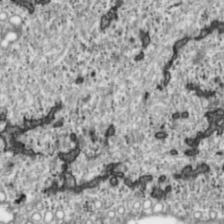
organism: Toxoplasma gondii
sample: Parasites in a vacuole inside a host cell